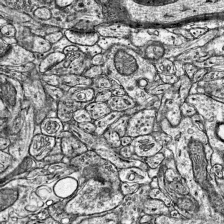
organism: Mouse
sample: Visual Cortex